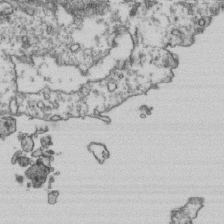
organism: Human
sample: Activated Jurkat CD4+ T cells